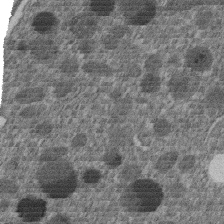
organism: C. elegans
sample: C. elegans embryo early stage